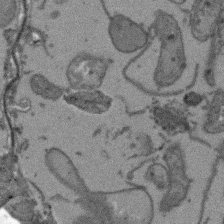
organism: Arabidopsis thaliana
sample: Root tip